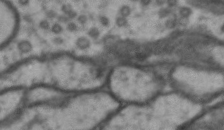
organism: Drosophila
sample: Brain